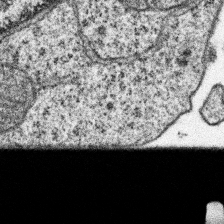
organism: Human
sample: HeLa cells